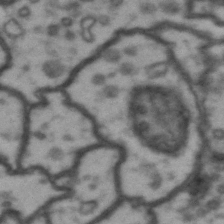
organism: Drosophila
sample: Brain